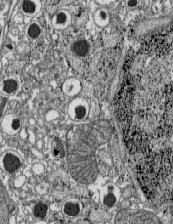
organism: C57BL Mouse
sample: Pancreatic islet